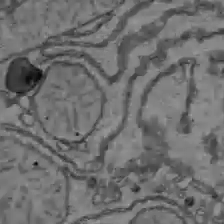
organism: C57BL Mouse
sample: Liver